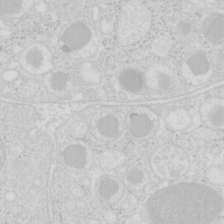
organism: Mouse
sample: Pancreas